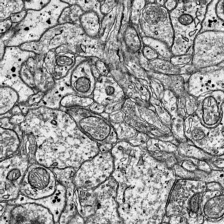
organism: Mouse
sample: Visual Cortex